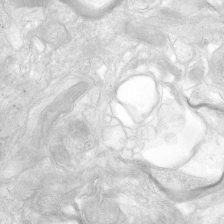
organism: Human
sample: Neocortex